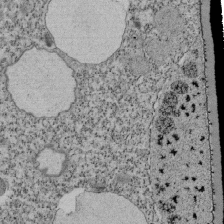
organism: Tetrahymena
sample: Cilia in tetrahymena